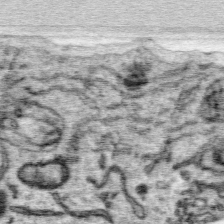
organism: Human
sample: HeLa cells